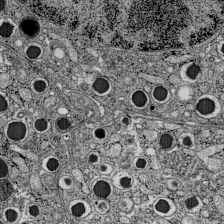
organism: C57BL Mouse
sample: Pancreatic islet